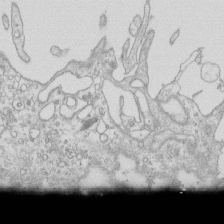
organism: Mouse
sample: Macrophages